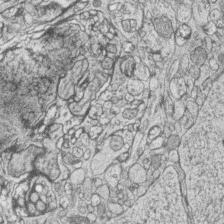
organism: Zebrafish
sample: synaptic ribbons in rod cells and cone cells